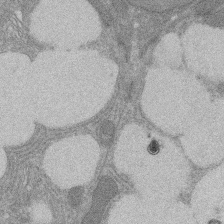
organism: Rat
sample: Salivary granule